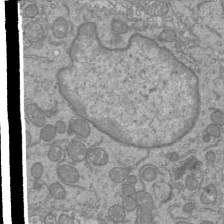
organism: Mouse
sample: Cilia; mouse epididymis